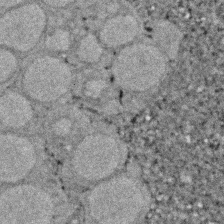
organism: Zebrafish